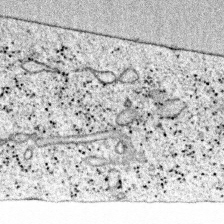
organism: Human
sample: HeLa cells